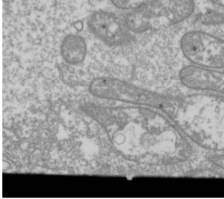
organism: Drosophila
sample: Cell division; meiosis; drosophila spermatocytes